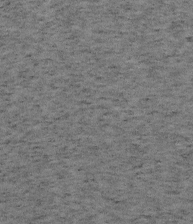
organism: Mouse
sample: OT-I killer T cells with ID8 ovarian cancer cells